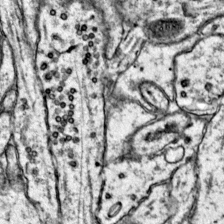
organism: Mouse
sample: Primary visual cortex